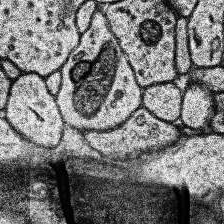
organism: Human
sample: Temporal Lobe